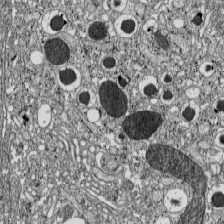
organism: C57BL Mouse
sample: Pancreatic islet